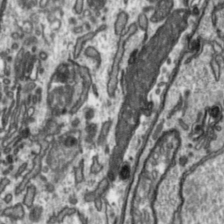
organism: Toxoplasma gondii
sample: Parasites in a vacuole inside a host cell